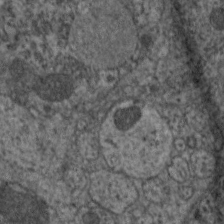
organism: C. elegans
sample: Pharynx